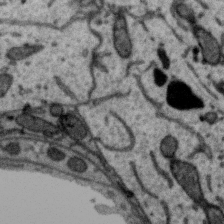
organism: Zebra finch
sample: Brain